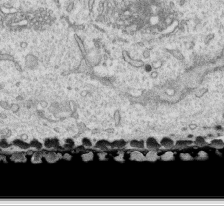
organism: Human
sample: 1205lu cells